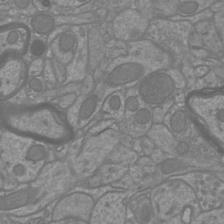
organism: Mouse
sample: Cortical neurons